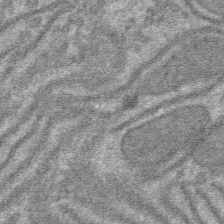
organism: Mouse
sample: Mouse hepatocytes